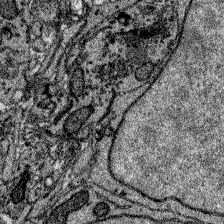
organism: Zebrafish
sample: Larval olfactory bulb